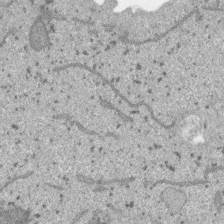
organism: Human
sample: Lung epithelial cells infected with SARS-CoV-2